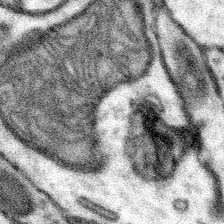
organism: Mouse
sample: Somatosensory cortex neuropil